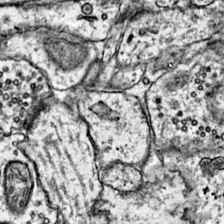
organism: Mouse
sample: Primary visual cortex